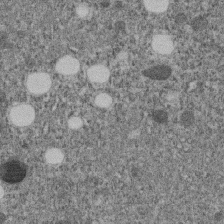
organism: C. elegans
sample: C. elegans embryo early stage